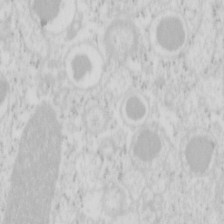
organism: Mouse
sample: Pancreas